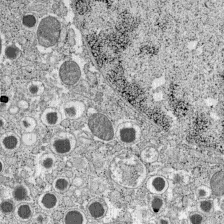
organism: C57BL Mouse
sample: Pancreatic islet